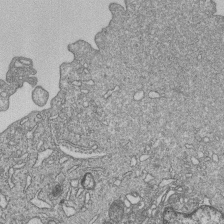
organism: Human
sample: MDA-MB-231 cells